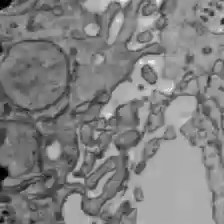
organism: C57BL Mouse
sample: Liver